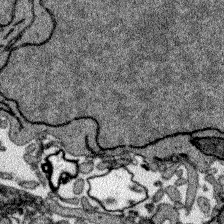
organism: Zebrafish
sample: Larval olfactory bulb